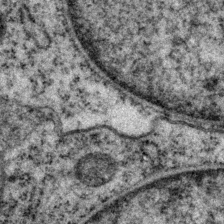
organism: P. pacificus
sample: Pharynx